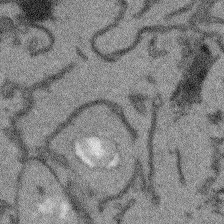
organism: Arabidopsis thaliana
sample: Root tip